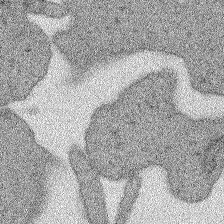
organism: Human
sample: HeLa cells